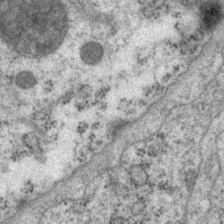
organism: P. pacificus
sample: Pharynx